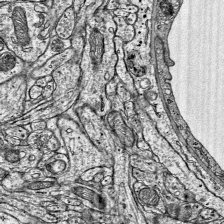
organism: Mouse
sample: Visual Cortex